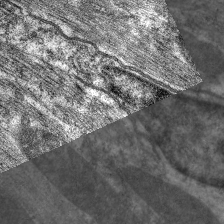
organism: C. elegans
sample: Pharynx